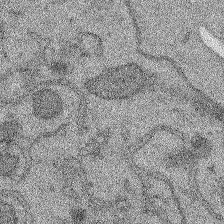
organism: Human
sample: HeLa cells